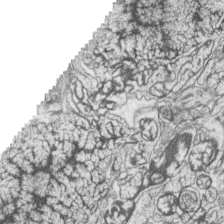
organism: Zebrafish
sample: synaptic ribbons in rod cells and cone cells